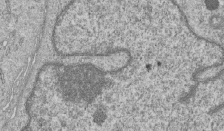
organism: Human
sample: MDA-MB-231 cells